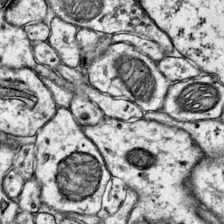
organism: Mouse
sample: Primary visual cortex